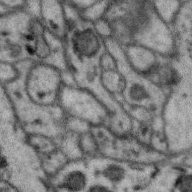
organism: Zebra finch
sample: Brain